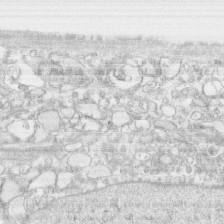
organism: Human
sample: CRL-1474